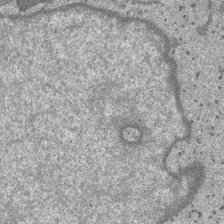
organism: Human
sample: Lung epithelial cells infected with SARS-CoV-2